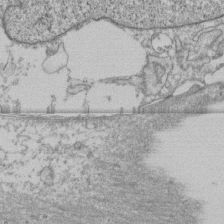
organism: Human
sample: Fibroblast cells